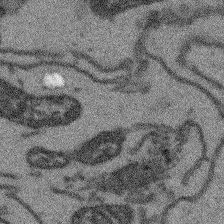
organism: Arabidopsis thaliana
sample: Root tip